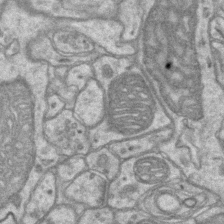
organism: Mouse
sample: CA1 Hippocampus